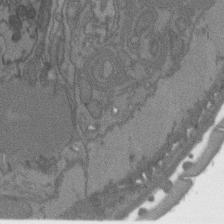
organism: C. elegans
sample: AFD neurons C. elegans